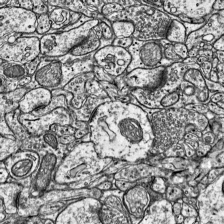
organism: Mouse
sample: Visual Cortex